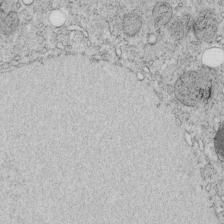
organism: C. elegans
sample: C. elegans embryo early stage